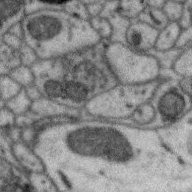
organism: Zebra finch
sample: Brain